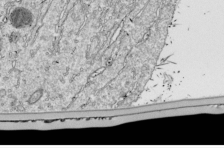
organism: Drosophila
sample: Cell division; meiosis; drosophila spermatocytes